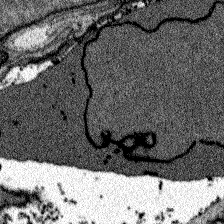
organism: Zebrafish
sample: Larval olfactory bulb